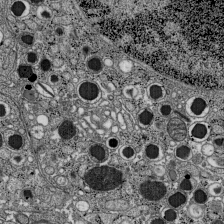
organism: C57BL Mouse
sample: Pancreatic islet